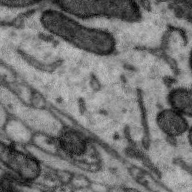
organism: Zebra finch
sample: Brain